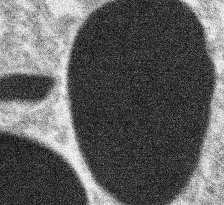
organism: Xenopus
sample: Cilia; centrioles in frog embryo cells